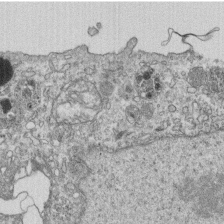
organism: Human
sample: HeLa cell HIV synapse